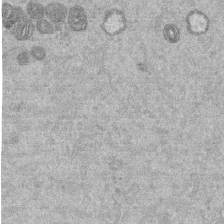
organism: Mouse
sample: Dividing mouse embryo 1 cell stage